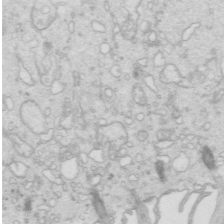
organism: Mouse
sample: Multiciliated cells